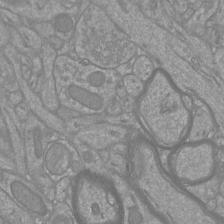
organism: Mouse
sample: Cortical neurons